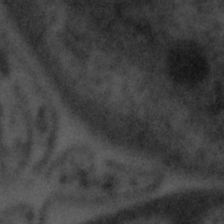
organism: Tuwongella immobilis